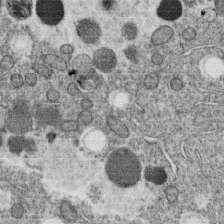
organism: C. elegans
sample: C. elegans oocyte; sperm cells